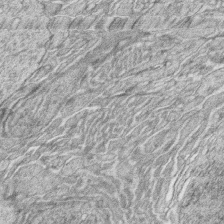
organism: Zebrafish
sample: synaptic ribbons in rod cells and cone cells